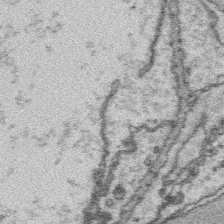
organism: Platynereis dumerilii